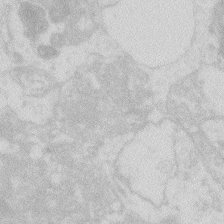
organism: Zebrafish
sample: Macrophage